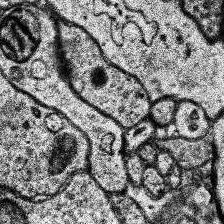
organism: Human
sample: Temporal Lobe